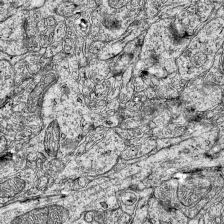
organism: Mouse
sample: Visual Cortex